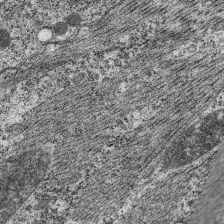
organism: C. elegans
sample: Pharynx